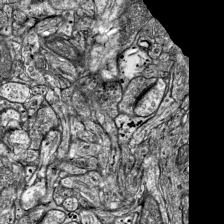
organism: Mouse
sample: Visual Cortex